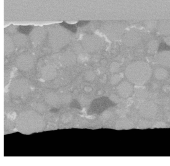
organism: C. elegans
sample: C. elegans oocyte; sperm cells